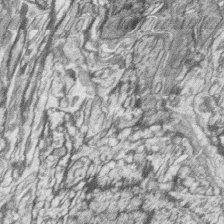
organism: Zebrafish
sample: synaptic ribbons in rod cells and cone cells